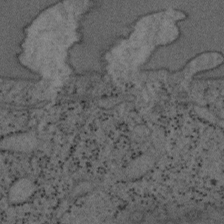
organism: Human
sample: HeLa cells